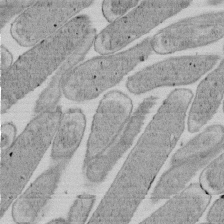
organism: E. coli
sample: Bacterial nucleoid